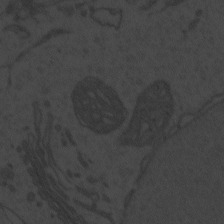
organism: Zebrafish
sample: Macrophage infected with Toxoplasma gondii